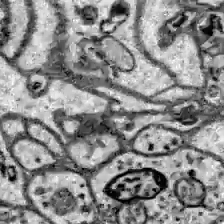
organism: Zebrafish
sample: Brain